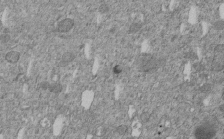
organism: C. elegans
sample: C. elegans embryo early stage